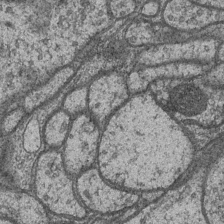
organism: Drosophila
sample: Optic medulla